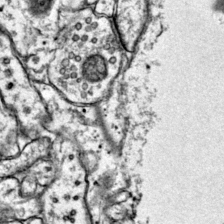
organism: Mouse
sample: Primary visual cortex